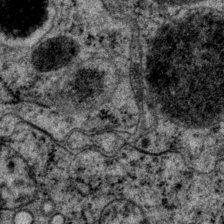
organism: P. pacificus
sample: Pharynx